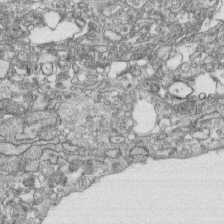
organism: Human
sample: CRL-1474